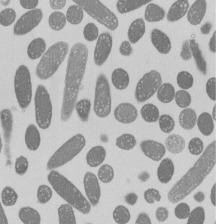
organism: E. coli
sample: Bacterial nucleoid